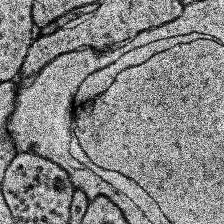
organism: Human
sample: Temporal Lobe